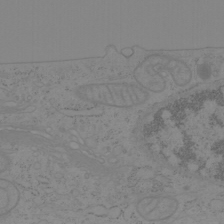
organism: Human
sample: HeLa cells